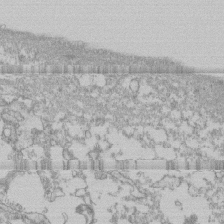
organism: Human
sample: CRL-1474